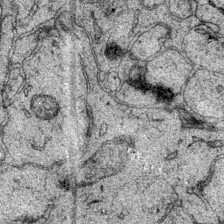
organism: Mouse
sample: Primary visual cortex